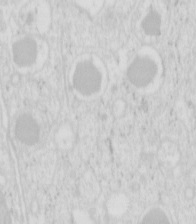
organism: Mouse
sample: Pancreas